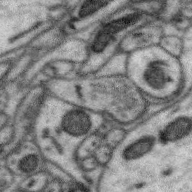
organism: Zebra finch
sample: Brain